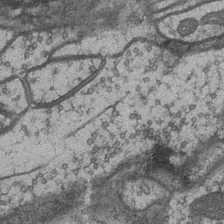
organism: Drosophila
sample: Optic medulla